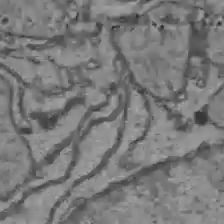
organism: C57BL Mouse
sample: Liver